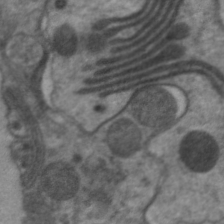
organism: C. elegans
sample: Pharynx